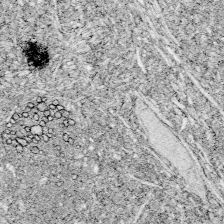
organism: Zebrafish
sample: Whole-Brain